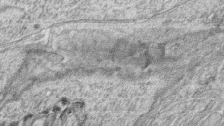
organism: Zebrafish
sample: synaptic ribbons in rod cells and cone cells